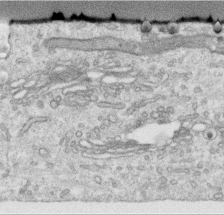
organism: Human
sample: Centriole in RPE cells